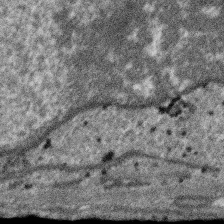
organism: Human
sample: Lung epithelial cells infected with SARS-CoV-2